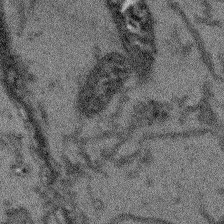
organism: Arabidopsis thaliana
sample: Root tip